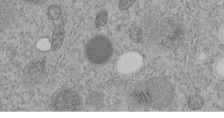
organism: C. elegans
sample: C. elegans embryo early stage